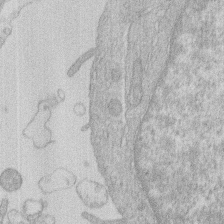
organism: Human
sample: Macrophage cells